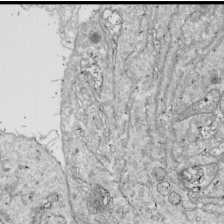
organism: Drosophila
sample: Cell division; meiosis; drosophila spermatocytes